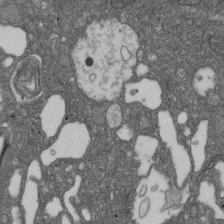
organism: Drosophila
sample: Nephrocyte